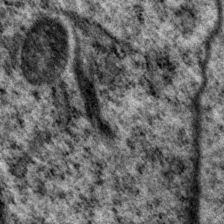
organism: P. pacificus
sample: Pharynx